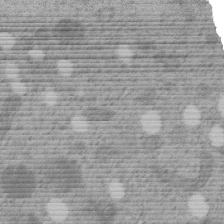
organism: C. elegans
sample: C. elegans embryo early stage